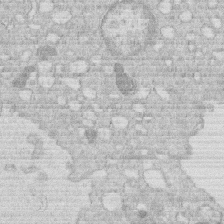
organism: Human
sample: Macrophage cells